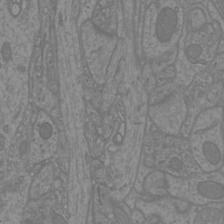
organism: Mouse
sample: Cortical neurons